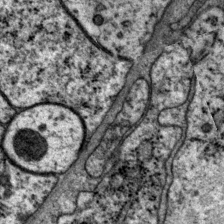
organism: P. pacificus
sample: Pharynx